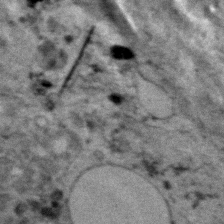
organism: Human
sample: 1205lu cells